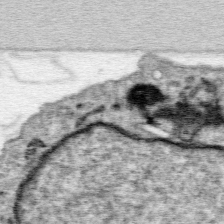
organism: Human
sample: HeLa cells